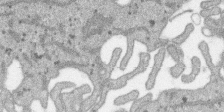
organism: Human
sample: Lung epithelial cells infected with SARS-CoV-2